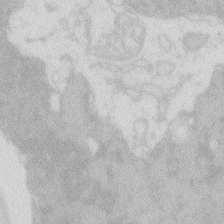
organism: Zebrafish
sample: Macrophage